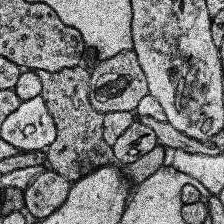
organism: Human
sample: Temporal Lobe